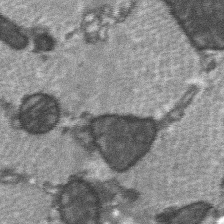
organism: C57BL Mouse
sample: Soleus